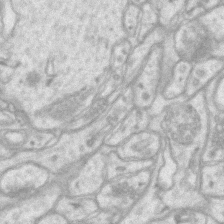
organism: Mouse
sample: CA1 Hippocampus